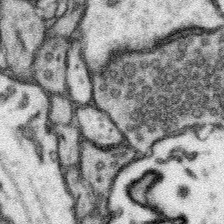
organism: Mouse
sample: Somatosensory cortex neuropil